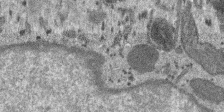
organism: Human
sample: Lung epithelial cells infected with SARS-CoV-2